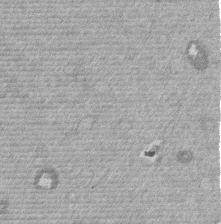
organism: Mouse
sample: Dividing mouse embryo 1 cell stage